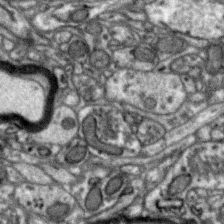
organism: Zebra finch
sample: Brain